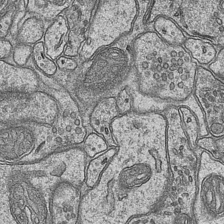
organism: Mouse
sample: CA1 Hippocampus